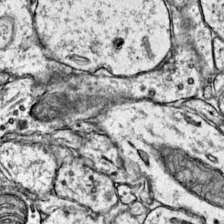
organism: Mouse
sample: Primary visual cortex